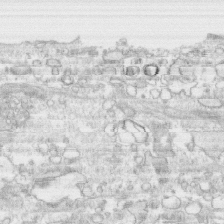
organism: Human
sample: CRL-1474